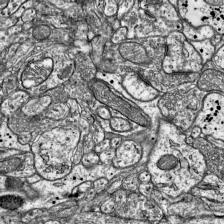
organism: Mouse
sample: Visual Cortex